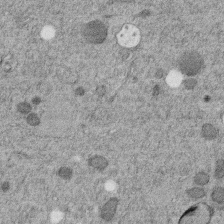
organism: C. elegans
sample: C. elegans embryo early stage